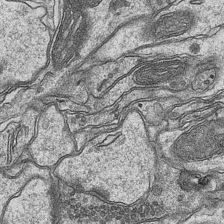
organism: Mouse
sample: CA1 Hippocampus